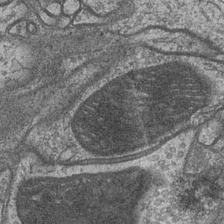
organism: Drosophila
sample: Optic medulla